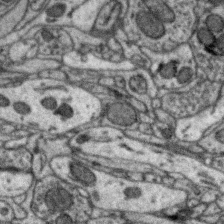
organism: Zebra finch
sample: Brain